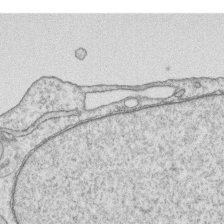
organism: Human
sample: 1205lu cells